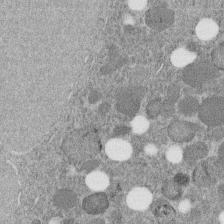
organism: C. elegans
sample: C. elegans embryo early stage